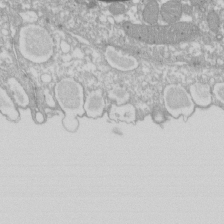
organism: Xenopus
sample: Cilia; centrioles in frog embryo cells